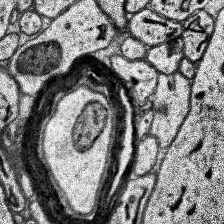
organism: Human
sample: Temporal Lobe